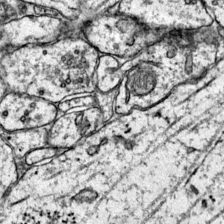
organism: Mouse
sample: Primary visual cortex